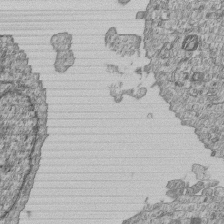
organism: Human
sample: MDA-MB-231 cells